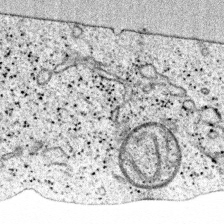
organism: Human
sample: HeLa cells